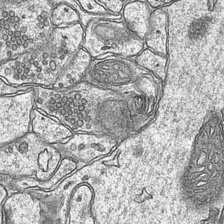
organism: Mouse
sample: CA1 Hippocampus